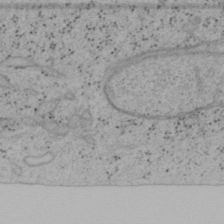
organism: Human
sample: HeLa cells